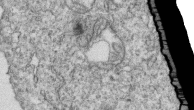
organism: Human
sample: HeLa cell HIV synapse